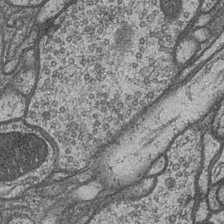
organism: Drosophila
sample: Optic medulla